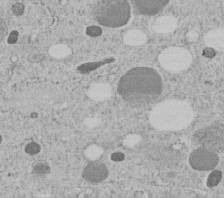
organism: C. elegans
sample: C. elegans embryo early stage